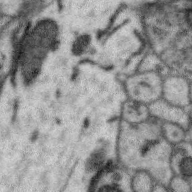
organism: Zebra finch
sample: Brain